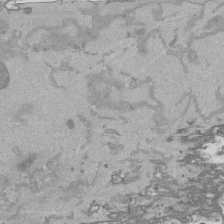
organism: Human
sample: Mitochondria in HCT116 cells